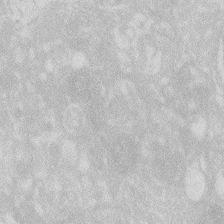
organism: Zebrafish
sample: Macrophage